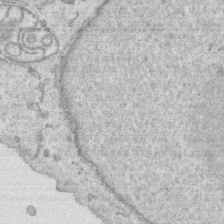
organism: Human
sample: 1205lu cells